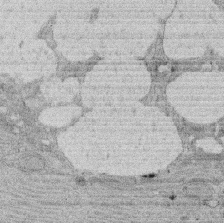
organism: Rat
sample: Salivary granule